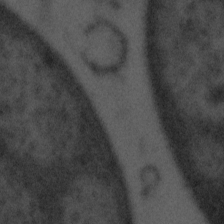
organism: Tuwongella immobilis